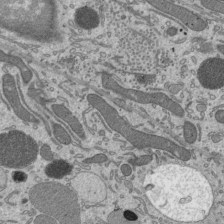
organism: Mouse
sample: Mouse epididymis efferent ductule cilia